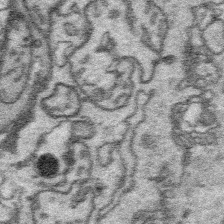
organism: Platynereis dumerilii